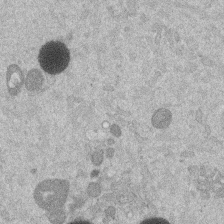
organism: Mouse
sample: Dividing mouse embryo 1 cell stage